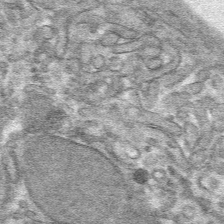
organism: Mouse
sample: Mouse hepatocytes